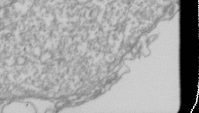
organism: Drosophila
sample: Cell division; meiosis; drosophila spermatocytes